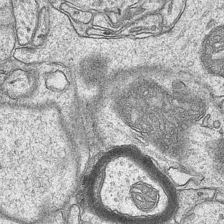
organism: Mouse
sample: CA1 Hippocampus